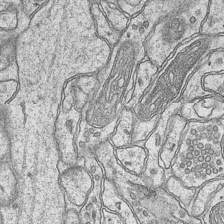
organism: Mouse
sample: CA1 Hippocampus